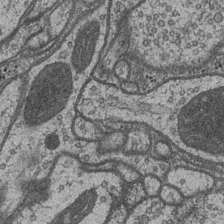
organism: Drosophila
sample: Optic medulla